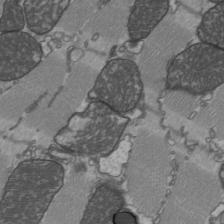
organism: C57BL Mouse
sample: Heart